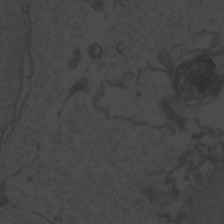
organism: Zebrafish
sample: Macrophage infected with Toxoplasma gondii